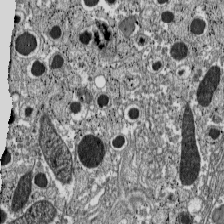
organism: C57BL Mouse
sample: Pancreatic islet